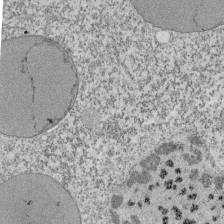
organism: Tetrahymena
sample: Cilia in tetrahymena